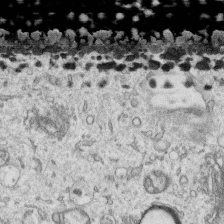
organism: Human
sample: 1205lu cells